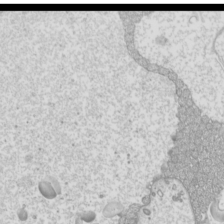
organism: Mouse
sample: Cilia; mouse epididymis